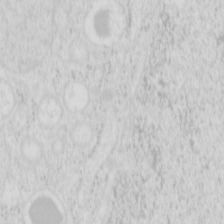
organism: Mouse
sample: Pancreas